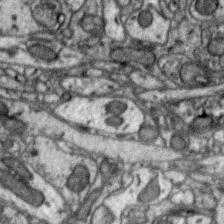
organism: Zebra finch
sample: Brain